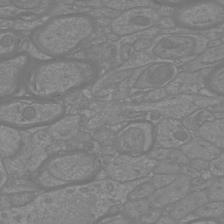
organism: Mouse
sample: Cortical neurons